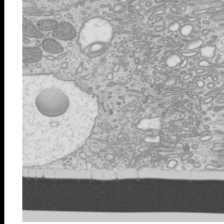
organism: Mouse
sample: Cilia; mouse epididymis